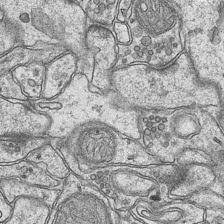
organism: Mouse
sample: CA1 Hippocampus